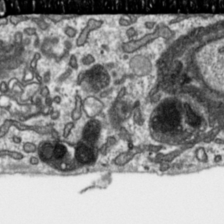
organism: Toxoplasma gondii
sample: Parasites in a vacuole inside a host cell